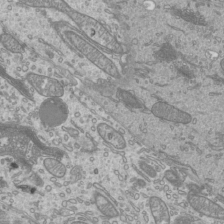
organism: Mouse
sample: Cilia; mouse epididymis